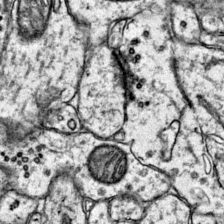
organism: Mouse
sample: Primary visual cortex